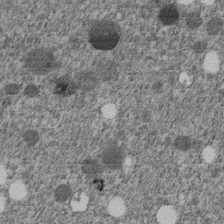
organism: C. elegans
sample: C. elegans embryo early stage